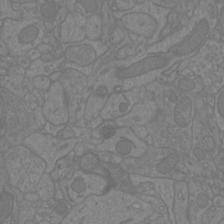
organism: Mouse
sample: Cortical neurons